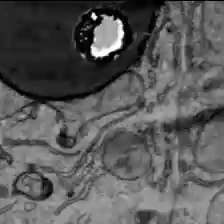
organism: C57BL Mouse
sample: Liver